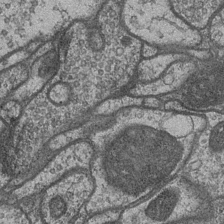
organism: Drosophila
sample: Optic medulla